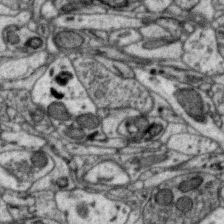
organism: Zebra finch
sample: Brain